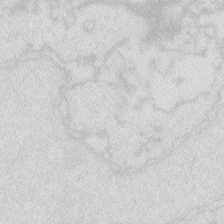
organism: Zebrafish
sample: Macrophage